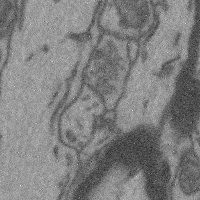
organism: Mouse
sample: Cerebral cortex